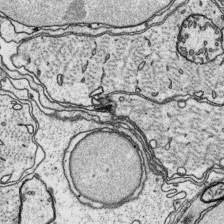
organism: Platynereis dumerilii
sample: Parapodia